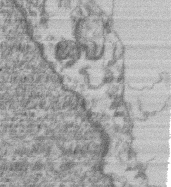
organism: Mouse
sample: T cell stromal cell synapse